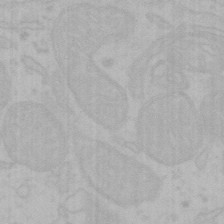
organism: Mouse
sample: Choroid plexus